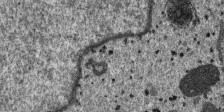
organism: Human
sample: Lung epithelial cells infected with SARS-CoV-2